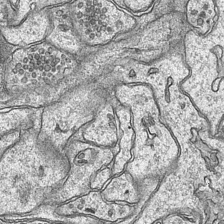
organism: Mouse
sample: CA1 Hippocampus